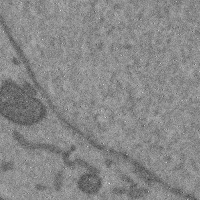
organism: Mouse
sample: Cerebral cortex